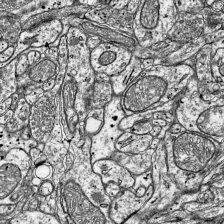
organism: Mouse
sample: Visual Cortex